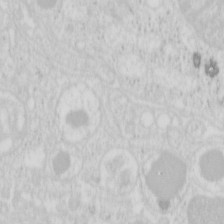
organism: Mouse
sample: Pancreas